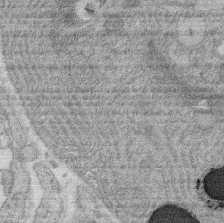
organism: Rat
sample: Salivary granule